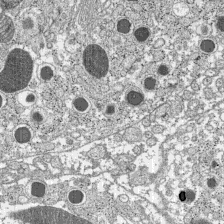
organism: C57BL Mouse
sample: Pancreatic islet